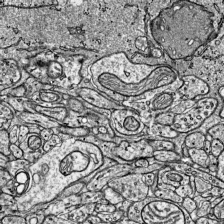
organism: Mouse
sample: Visual Cortex